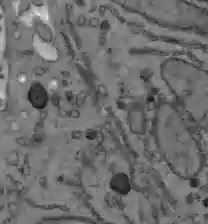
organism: C57BL Mouse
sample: Liver